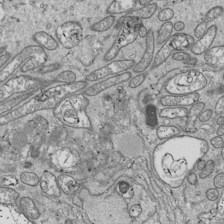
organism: Drosophila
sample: Cell division; meiosis; drosophila spermatocytes